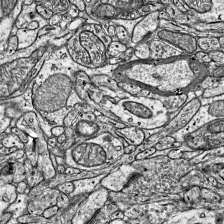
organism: Mouse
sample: Visual Cortex